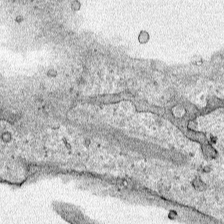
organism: Human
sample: Mitochondria in HCT116 cells